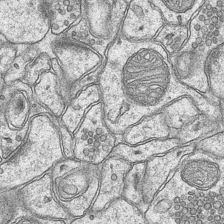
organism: Mouse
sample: CA1 Hippocampus